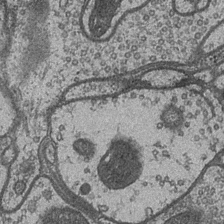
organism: Drosophila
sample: Optic medulla